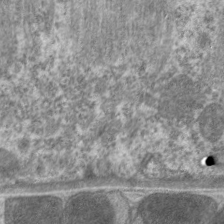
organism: C. elegans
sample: Pharynx